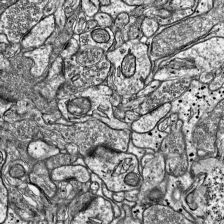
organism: Mouse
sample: Visual Cortex